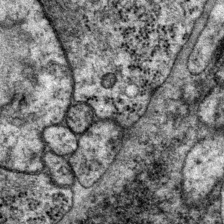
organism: P. pacificus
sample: Pharynx